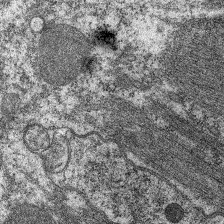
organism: C. elegans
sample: Pharynx